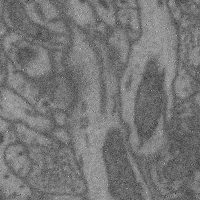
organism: Mouse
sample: Cerebral cortex